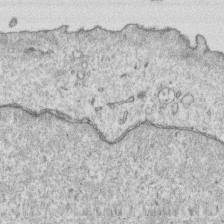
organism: Human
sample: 1205lu cells